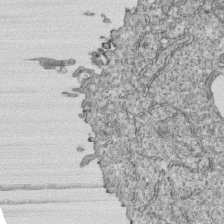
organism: Human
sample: HeLa cell HIV synapse